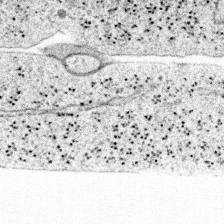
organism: Human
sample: HeLa cells